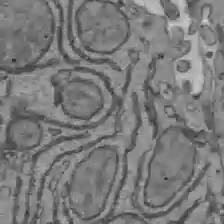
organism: C57BL Mouse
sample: Liver